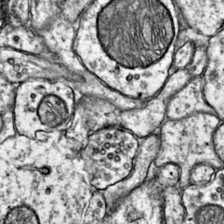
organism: Mouse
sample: Primary visual cortex